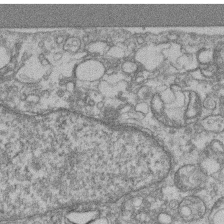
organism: Mouse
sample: T cell stromal cell synapse